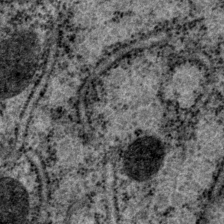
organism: P. pacificus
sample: Pharynx